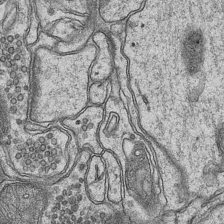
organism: Mouse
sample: CA1 Hippocampus